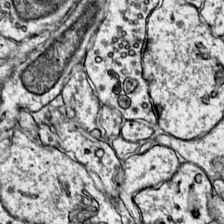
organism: Mouse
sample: Primary visual cortex